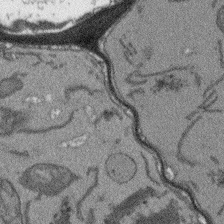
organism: Arabidopsis thaliana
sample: Root tip